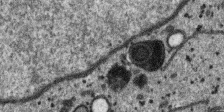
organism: Human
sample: Lung epithelial cells infected with SARS-CoV-2